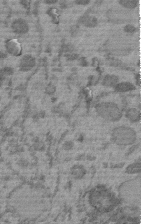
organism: C. elegans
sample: C. elegans embryo early stage